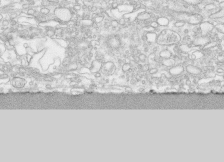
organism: Human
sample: CRL-1474